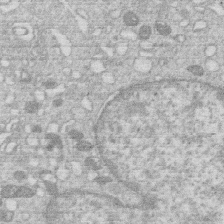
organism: Human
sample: Macrophage cells